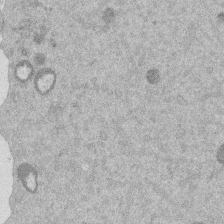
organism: Mouse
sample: Dividing mouse embryo 1 cell stage